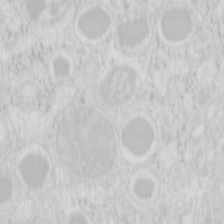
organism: Mouse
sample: Pancreas